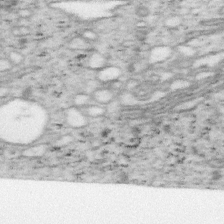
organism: Mouse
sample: OT-I killer T cells with ID8 ovarian cancer cells